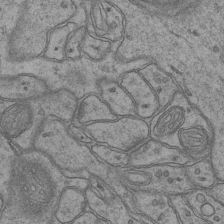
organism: Mouse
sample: CA1 Hippocampus